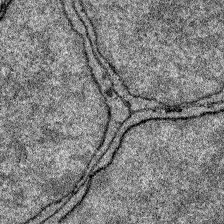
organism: Zebrafish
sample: Larval olfactory bulb